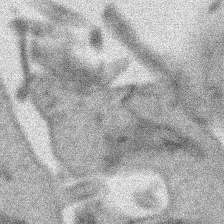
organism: Human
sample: Mitochondria in HCT116 cells